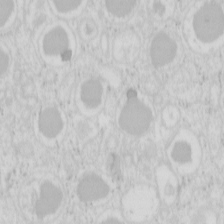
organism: Mouse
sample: Pancreas